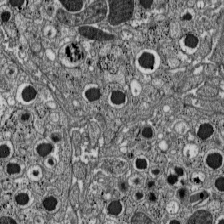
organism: C57BL Mouse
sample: Pancreatic islet